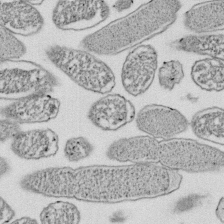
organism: E. coli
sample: Bacterial nucleoid